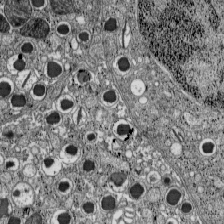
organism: C57BL Mouse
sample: Pancreatic islet